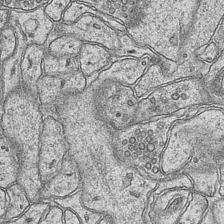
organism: Mouse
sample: CA1 Hippocampus